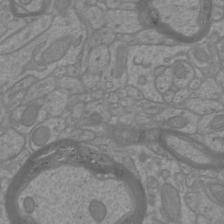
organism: Mouse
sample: Cortical neurons